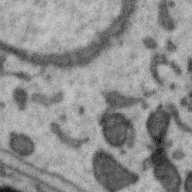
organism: Zebra finch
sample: Brain